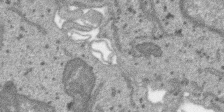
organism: Human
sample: Lung epithelial cells infected with SARS-CoV-2